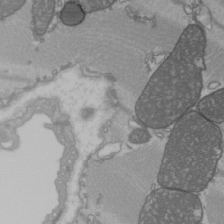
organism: C57BL Mouse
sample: Heart